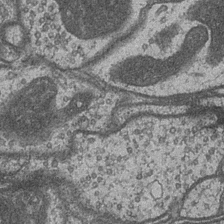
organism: Drosophila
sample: Optic medulla